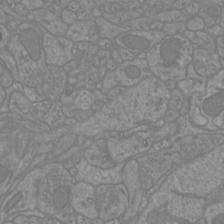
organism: Mouse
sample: Cortical neurons